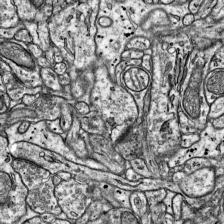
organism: Mouse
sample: Visual Cortex